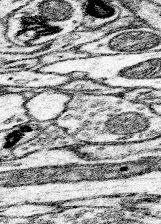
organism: Mouse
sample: Somatosensory cortex neuropil